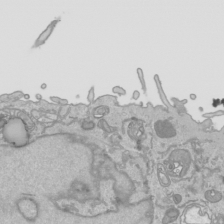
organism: Human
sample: Mitochondria in HCT116 cells